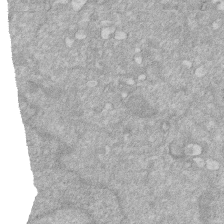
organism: Human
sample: HIV infected U937 cells